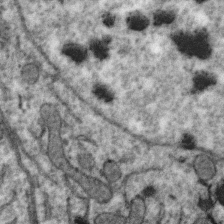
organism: Zebra finch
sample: Brain